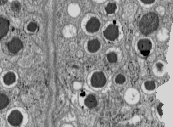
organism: C57BL Mouse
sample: Pancreatic islet